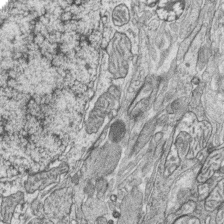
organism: Zebrafish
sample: synaptic ribbons in rod cells and cone cells